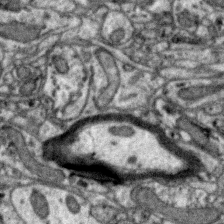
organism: Zebra finch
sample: Brain